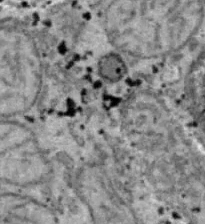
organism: Mouse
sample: Liver from an obese (ob/ob) mouse